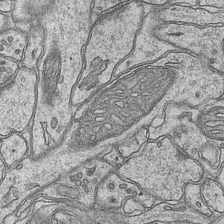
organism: Mouse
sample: CA1 Hippocampus